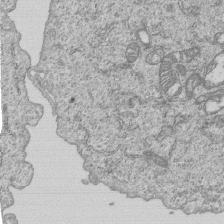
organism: Human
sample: MDA-MB-231 cells